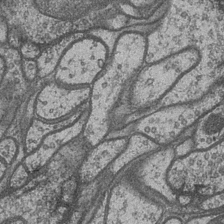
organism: Drosophila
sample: Optic medulla